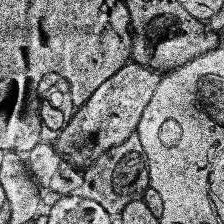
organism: Human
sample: Temporal Lobe